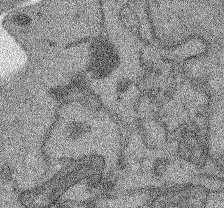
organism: Human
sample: HeLa cells